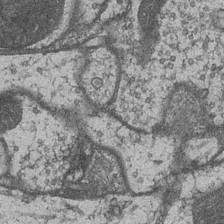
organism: Drosophila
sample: Optic medulla